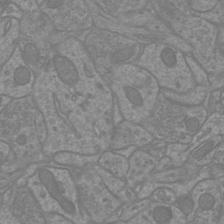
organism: Mouse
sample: Cortical neurons